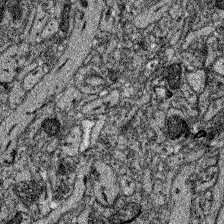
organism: Zebrafish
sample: Larval olfactory bulb